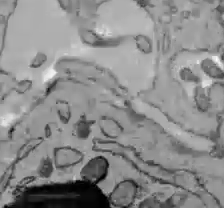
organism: C57BL Mouse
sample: Liver